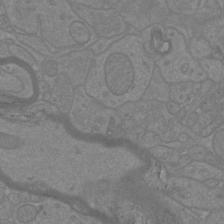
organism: Mouse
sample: Cortical neurons